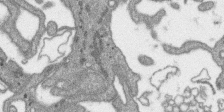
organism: Human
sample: Lung epithelial cells infected with SARS-CoV-2